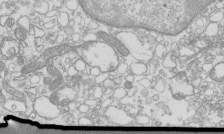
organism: Mouse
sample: Macrophages